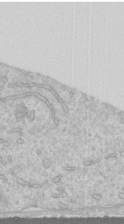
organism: Human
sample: Centriole in RPE cells